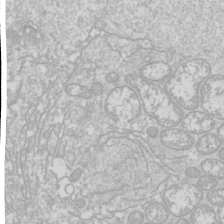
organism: Drosophila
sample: Cell division; meiosis; drosophila spermatocytes